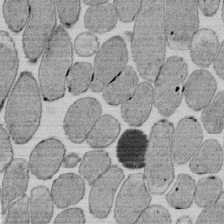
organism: E. coli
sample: Bacterial nucleoid